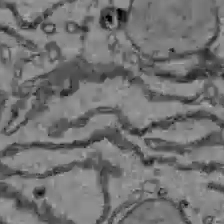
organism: C57BL Mouse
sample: Liver